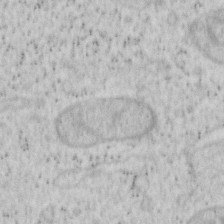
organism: Human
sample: HeLa cells